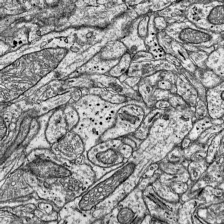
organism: Mouse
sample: Visual Cortex